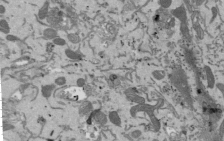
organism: Mouse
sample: ED-1 cell nuclei; centrioles